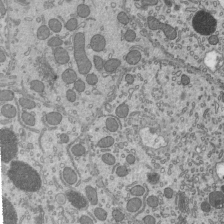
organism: Mouse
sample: Mouse epididymis efferent ductule cilia